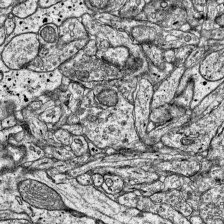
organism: Mouse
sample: Visual Cortex